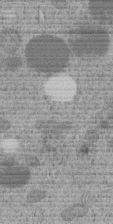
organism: C. elegans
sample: C. elegans embryo early stage